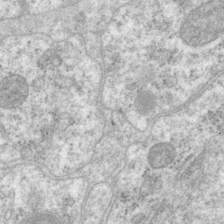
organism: P. pacificus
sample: Pharynx